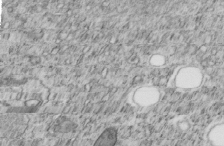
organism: C. elegans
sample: C. elegans embryo early stage